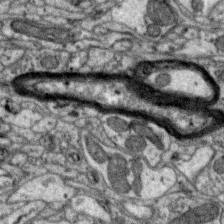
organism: Zebra finch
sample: Brain